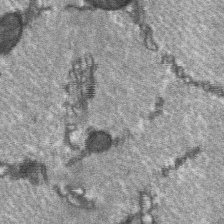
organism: C57BL Mouse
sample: Soleus